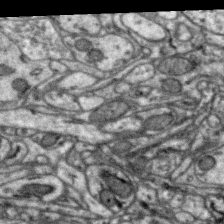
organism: Zebra finch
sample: Brain